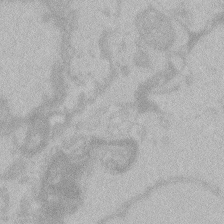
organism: Zebrafish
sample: Macrophage infected with Toxoplasma gondii